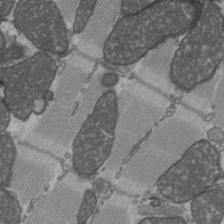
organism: C57BL Mouse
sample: Heart